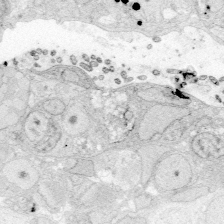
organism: Zebrafish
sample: Whole-Brain